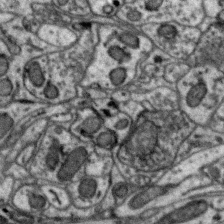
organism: Zebra finch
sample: Brain